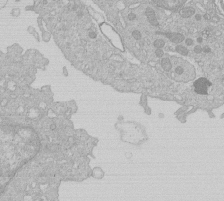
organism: Human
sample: Macrophage cells